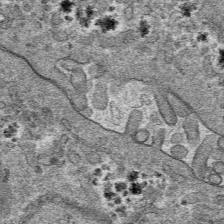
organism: Mouse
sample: Mouse hepatocytes